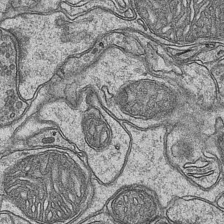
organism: Mouse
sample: CA1 Hippocampus